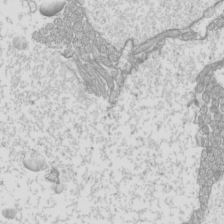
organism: Mouse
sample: Cilia; mouse epididymis